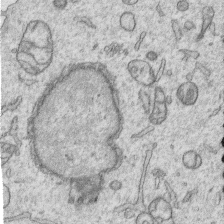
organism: Human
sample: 1205lu cells